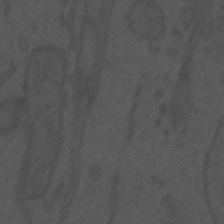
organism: Mouse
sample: Suprachiasmatic nucleus